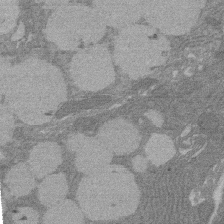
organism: Rat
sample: Salivary granule